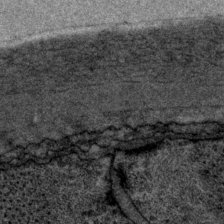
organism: P. pacificus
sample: Pharynx